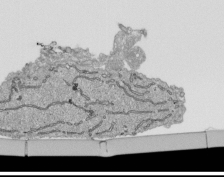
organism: Human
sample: Mitochondria in HCT116 cells